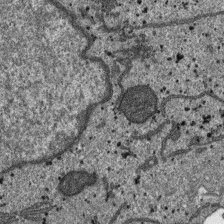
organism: Human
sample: Lung epithelial cells infected with SARS-CoV-2